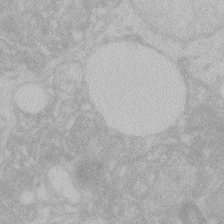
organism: Zebrafish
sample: Macrophage infected with Toxoplasma gondii